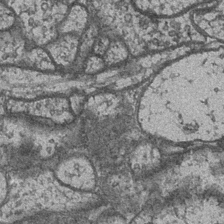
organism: Drosophila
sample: Optic medulla